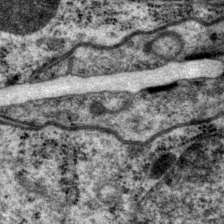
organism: P. pacificus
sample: Pharynx